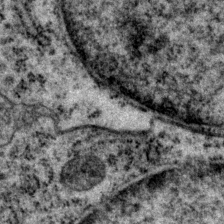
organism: P. pacificus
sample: Pharynx